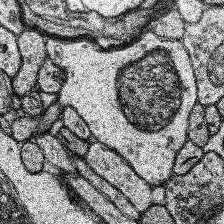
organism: Human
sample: Temporal Lobe